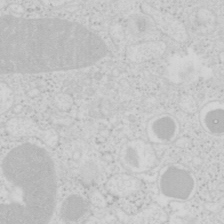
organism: Mouse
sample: Pancreas